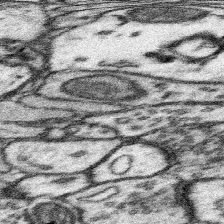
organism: Mouse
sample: Somatosensory cortex neuropil